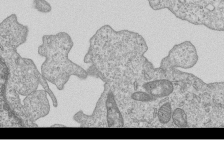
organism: Human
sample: MDA-MB-231 cells